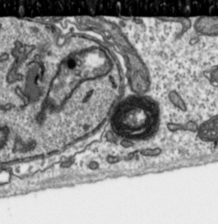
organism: Toxoplasma gondii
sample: Parasites in a vacuole inside a host cell